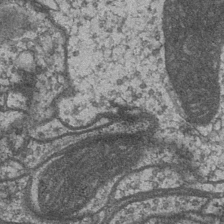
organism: Drosophila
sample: Optic medulla